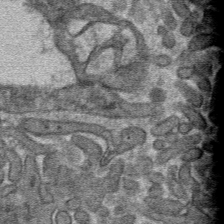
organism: Mouse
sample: Mouse hepatocytes